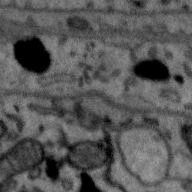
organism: Zebra finch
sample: Brain